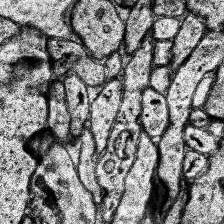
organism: Human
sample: Temporal Lobe